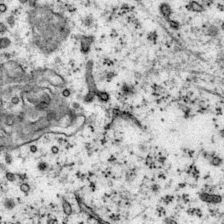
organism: Mouse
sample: Primary visual cortex